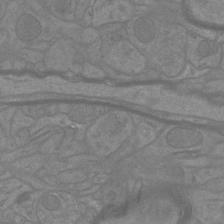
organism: Mouse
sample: Cortical neurons